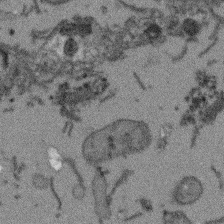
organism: Arabidopsis thaliana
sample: Root tip